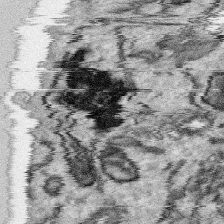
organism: Human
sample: HeLa cells